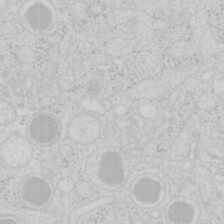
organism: Mouse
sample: Pancreas